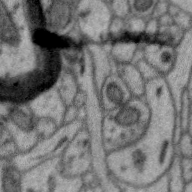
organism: Zebra finch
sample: Brain